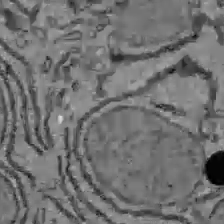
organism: C57BL Mouse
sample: Liver